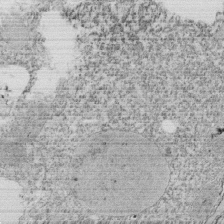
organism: Tetrahymena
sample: Cilia in tetrahymena